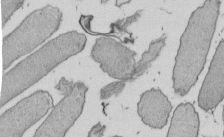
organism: E. coli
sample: Bacterial nucleoid